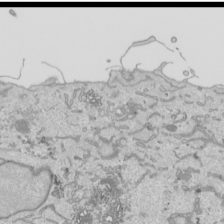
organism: Human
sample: Mitochondria in HCT116 cells